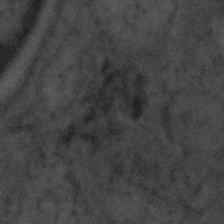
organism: Tuwongella immobilis